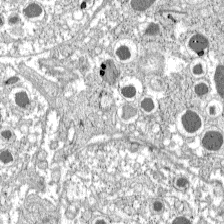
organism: C57BL Mouse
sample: Pancreatic islet